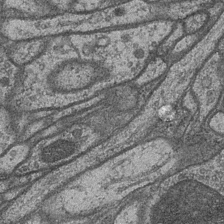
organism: Drosophila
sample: Optic medulla